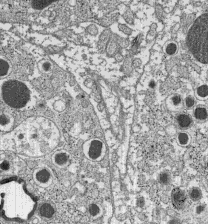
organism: C57BL Mouse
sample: Pancreatic islet